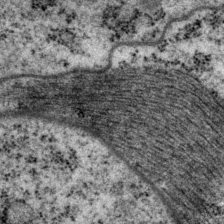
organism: P. pacificus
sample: Pharynx